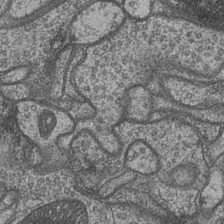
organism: Drosophila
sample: Optic medulla